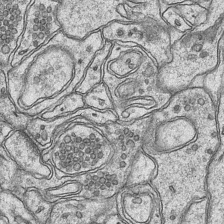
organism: Mouse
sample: CA1 Hippocampus